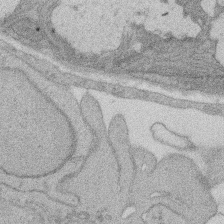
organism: Rat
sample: Salivary granule